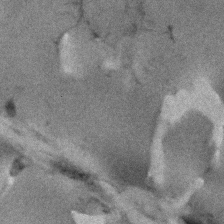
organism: Human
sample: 1205lu cells